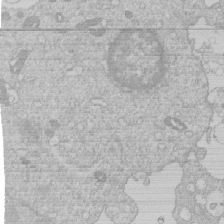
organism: Human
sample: Macrophage cells